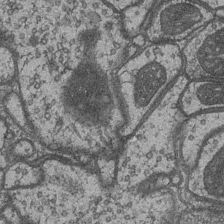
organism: Drosophila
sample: Optic medulla